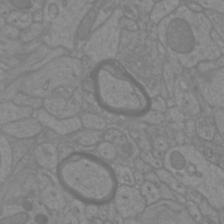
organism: Mouse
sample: Cortical neurons